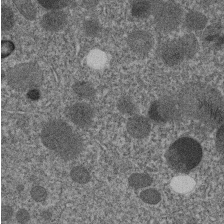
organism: C. elegans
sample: C. elegans embryo early stage